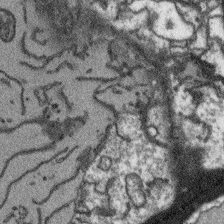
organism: Arabidopsis thaliana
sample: Root tip